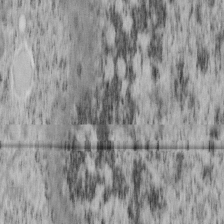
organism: Human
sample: HeLa cells